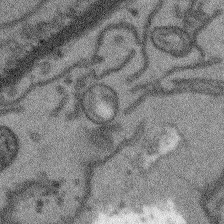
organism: Arabidopsis thaliana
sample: Root tip